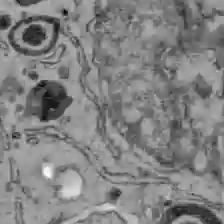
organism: C57BL Mouse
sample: Liver